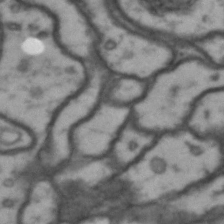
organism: Drosophila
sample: Brain